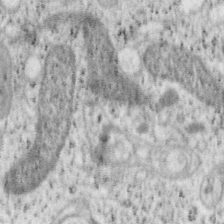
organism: Mouse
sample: OT-I killer T cells with ID8 ovarian cancer cells